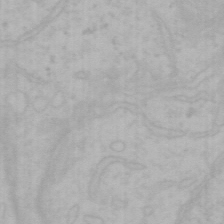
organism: Mouse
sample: Choroid plexus